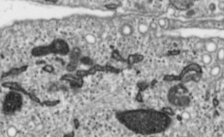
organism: Toxoplasma gondii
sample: Parasites in a vacuole inside a host cell